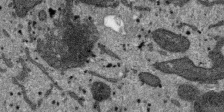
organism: Human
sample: Lung epithelial cells, uninfected (mock) control